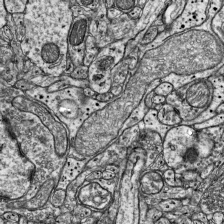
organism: Mouse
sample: Visual Cortex